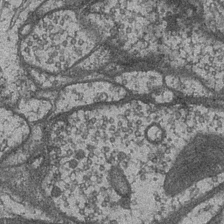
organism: Drosophila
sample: Optic medulla